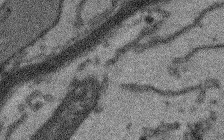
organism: Arabidopsis thaliana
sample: Root tip